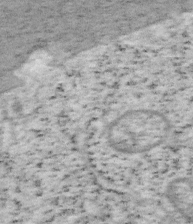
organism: Mouse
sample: OT-I killer T cells with ID8 ovarian cancer cells